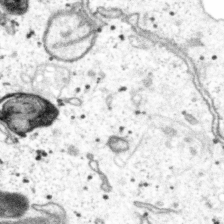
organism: Human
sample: HeLa cells